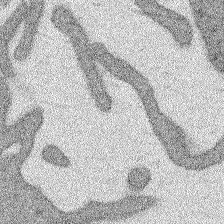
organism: Human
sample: HeLa cells